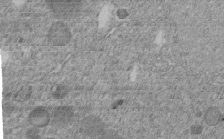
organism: C. elegans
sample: C. elegans embryo early stage